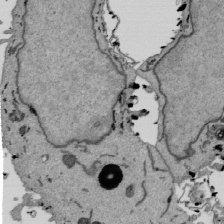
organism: Mouse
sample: ED-1 cell nuclei; centrioles